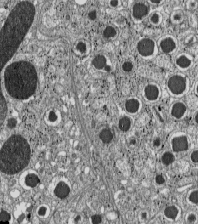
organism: C57BL Mouse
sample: Pancreatic islet